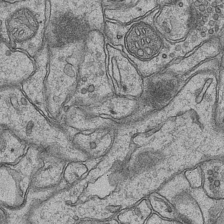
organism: Mouse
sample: CA1 Hippocampus